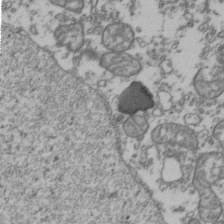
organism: Human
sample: Activated Jurkat CD4+ T cells